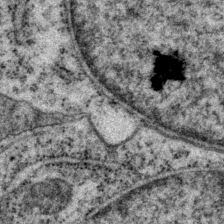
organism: P. pacificus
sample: Pharynx